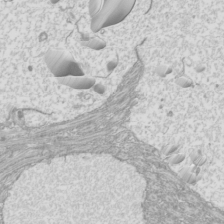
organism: Mouse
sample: Cilia; mouse epididymis